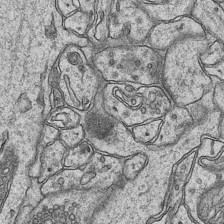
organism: Mouse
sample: CA1 Hippocampus